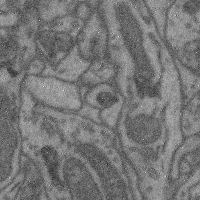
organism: Mouse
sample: Cerebral cortex